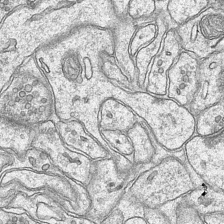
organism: Mouse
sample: CA1 Hippocampus